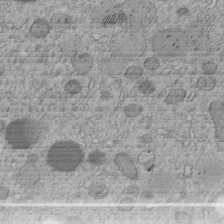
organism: C. elegans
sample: C. elegans embryo early stage